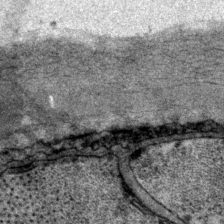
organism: P. pacificus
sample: Pharynx